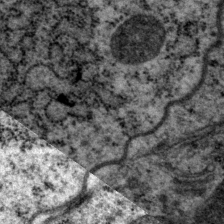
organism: P. pacificus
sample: Pharynx